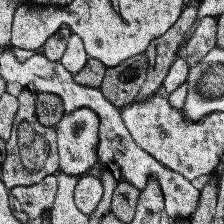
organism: Human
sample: Temporal Lobe